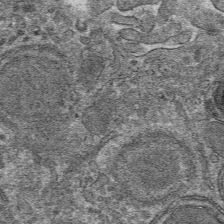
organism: Mouse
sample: Mouse hepatocytes